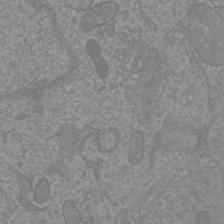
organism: Mouse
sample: Cortical neurons